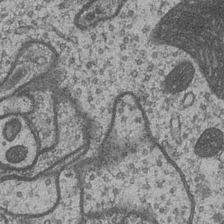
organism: Drosophila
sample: Optic medulla